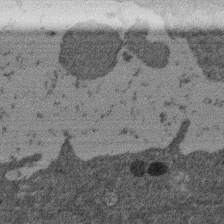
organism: Mouse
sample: Dividing mouse embryo 1 cell stage